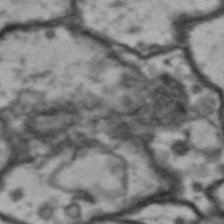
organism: Drosophila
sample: Brain